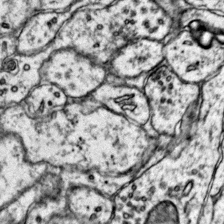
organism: Mouse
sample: Primary visual cortex